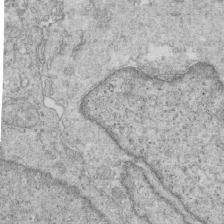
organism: Mouse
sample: Multiciliated cells